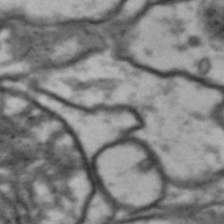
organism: Drosophila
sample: Brain